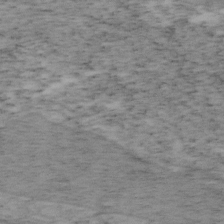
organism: Mouse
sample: OT-I killer T cells with ID8 ovarian cancer cells